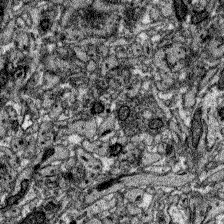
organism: Zebrafish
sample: Larval olfactory bulb